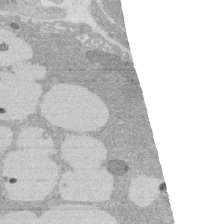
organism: Rat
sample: Salivary granule